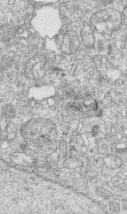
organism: Human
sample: HeLa cell HIV synapse